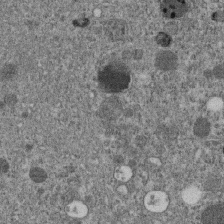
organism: C. elegans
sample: C. elegans embryo early stage